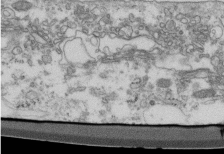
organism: Mouse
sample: Cilia; retinal pigment epithelium